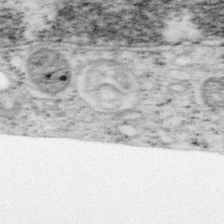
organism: Mouse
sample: OT-I killer T cells with ID8 ovarian cancer cells